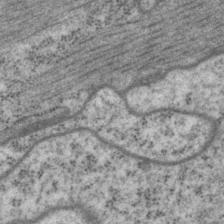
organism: P. pacificus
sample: Pharynx